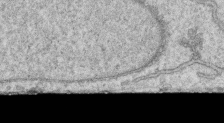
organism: Human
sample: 1205lu cells